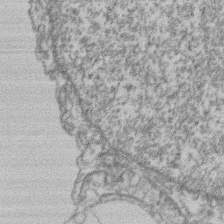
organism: Mouse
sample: T cell stromal cell synapse